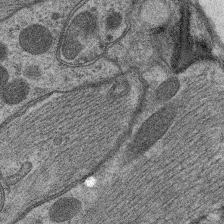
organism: C. elegans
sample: Pharynx